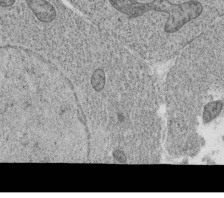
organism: C. elegans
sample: C. elegans oocyte; sperm cells